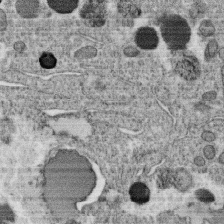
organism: C. elegans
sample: C. elegans oocyte; sperm cells